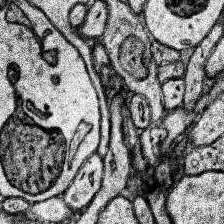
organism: Human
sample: Temporal Lobe